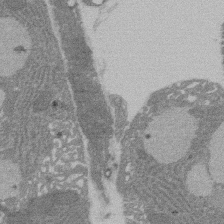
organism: Rat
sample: Salivary granule